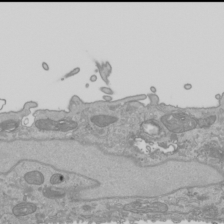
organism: Human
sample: Mitochondria in HCT116 cells